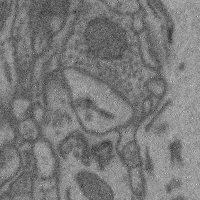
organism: Mouse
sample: Cerebral cortex